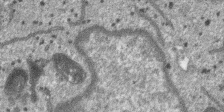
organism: Human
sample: Lung epithelial cells infected with SARS-CoV-2